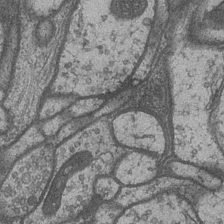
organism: Drosophila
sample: Optic medulla